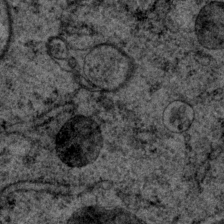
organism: P. pacificus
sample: Pharynx